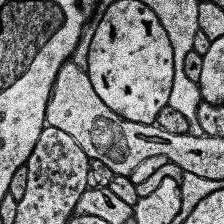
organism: Human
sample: Temporal Lobe